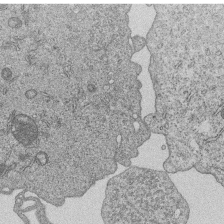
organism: Human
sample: MDA-MB-231 cells